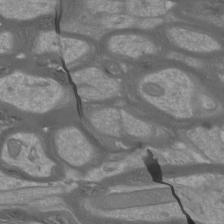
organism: Mouse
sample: Cortical neurons